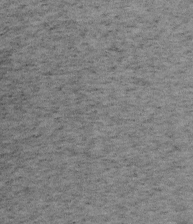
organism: Mouse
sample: OT-I killer T cells with ID8 ovarian cancer cells